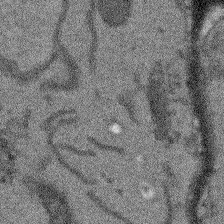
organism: Arabidopsis thaliana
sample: Root tip